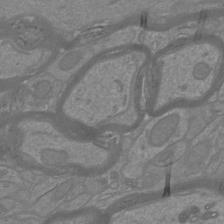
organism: Mouse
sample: Cortical neurons